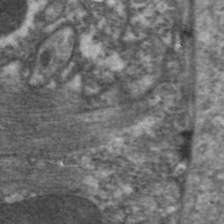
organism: C. elegans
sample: Pharynx